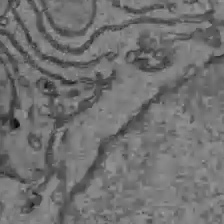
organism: C57BL Mouse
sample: Liver